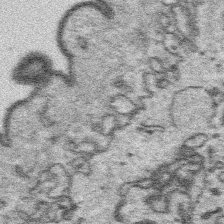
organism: Platynereis dumerilii